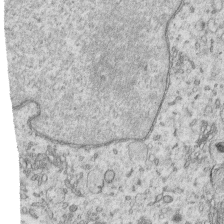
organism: Human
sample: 1205lu cells